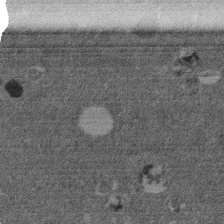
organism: Mouse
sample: Dividing mouse embryo 1 cell stage